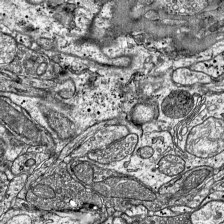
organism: Mouse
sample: Visual Cortex